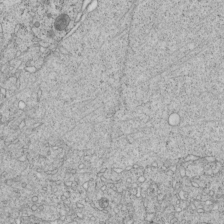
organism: C. elegans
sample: C. elegans embryo early stage